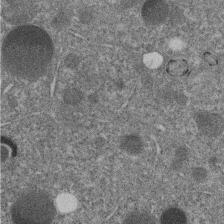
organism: C. elegans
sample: C. elegans embryo early stage